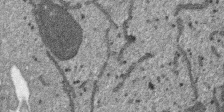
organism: Human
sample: Lung epithelial cells infected with SARS-CoV-2